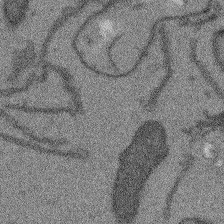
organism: Arabidopsis thaliana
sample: Root tip